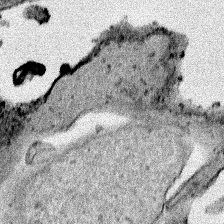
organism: Human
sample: Mitochondria in HCT116 cells